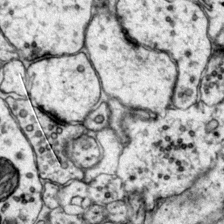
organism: Mouse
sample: Primary visual cortex